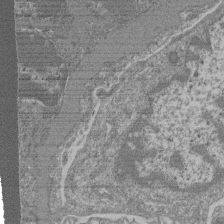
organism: Mouse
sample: Glomerulus